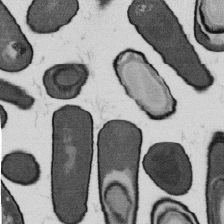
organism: B. subtilis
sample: Bacterial spore